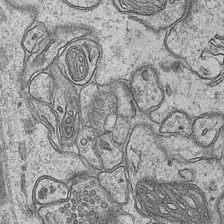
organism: Mouse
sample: CA1 Hippocampus